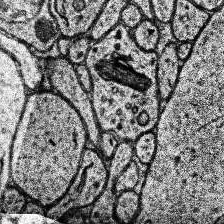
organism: Human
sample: Temporal Lobe